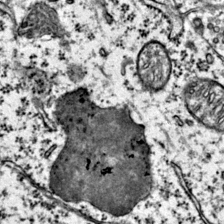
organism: Mouse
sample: Primary visual cortex